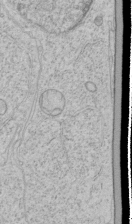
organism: Human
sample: Mitochondria in HCT116 cells